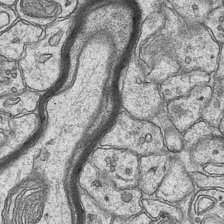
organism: Mouse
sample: CA1 Hippocampus